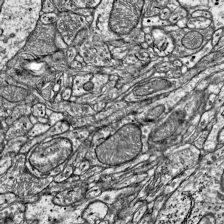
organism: Mouse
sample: Visual Cortex